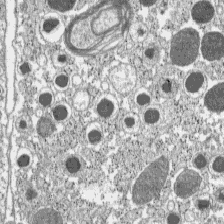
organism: C57BL Mouse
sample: Pancreatic islet